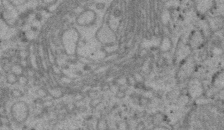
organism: Human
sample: HeLa cells